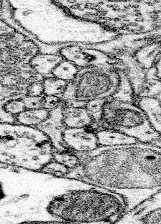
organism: Mouse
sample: Somatosensory cortex neuropil